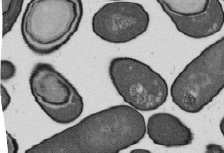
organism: B. subtilis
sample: Bacterial spore